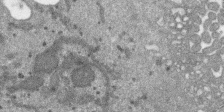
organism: Human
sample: Lung epithelial cells infected with SARS-CoV-2